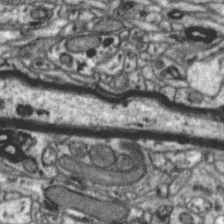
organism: Zebra finch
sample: Brain